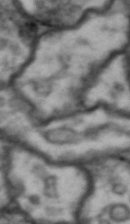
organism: Drosophila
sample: Brain